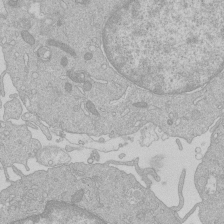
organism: Human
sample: Macrophage cells